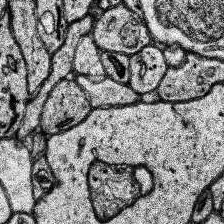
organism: Human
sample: Temporal Lobe